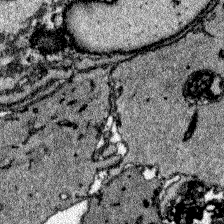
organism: Zebrafish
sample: Larval olfactory bulb